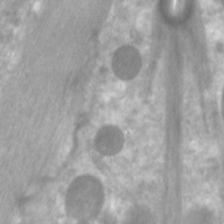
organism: C. elegans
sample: Pharynx